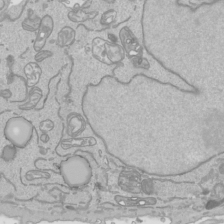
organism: Human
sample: Mitochondria in HCT116 cells